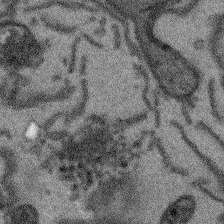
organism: Arabidopsis thaliana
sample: Root tip